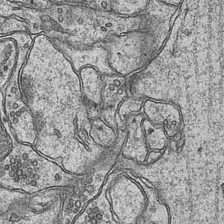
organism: Mouse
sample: CA1 Hippocampus